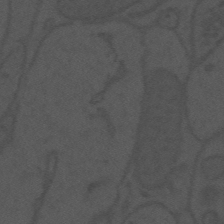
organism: Mouse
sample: Suprachiasmatic nucleus